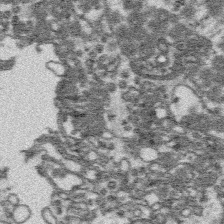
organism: Platynereis dumerilii